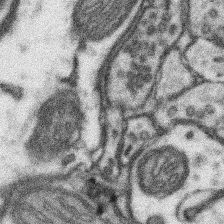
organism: Mouse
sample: Somatosensory cortex neuropil